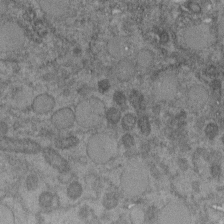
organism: C. elegans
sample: C. elegans embryo early stage